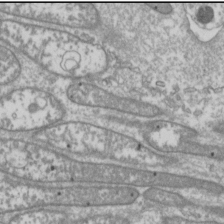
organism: Drosophila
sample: Cell division; meiosis; drosophila spermatocytes